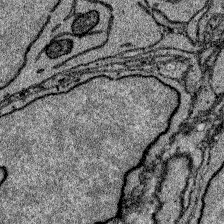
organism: Zebrafish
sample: Larval olfactory bulb